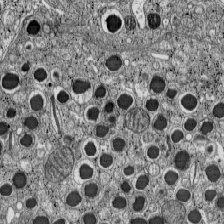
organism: C57BL Mouse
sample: Pancreatic islet